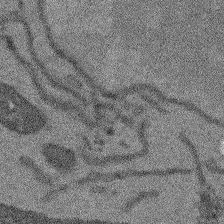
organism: Arabidopsis thaliana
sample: Root tip